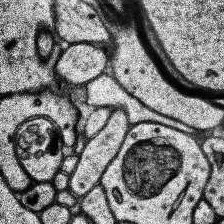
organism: Human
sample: Temporal Lobe